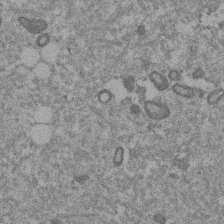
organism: Mouse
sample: Dividing mouse embryo 1 cell stage